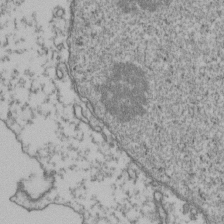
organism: Human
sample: Activated Jurkat CD4+ T cells